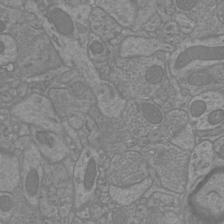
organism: Mouse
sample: Cortical neurons